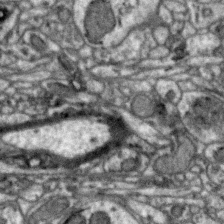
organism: Zebra finch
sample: Brain